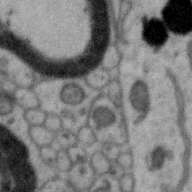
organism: Zebra finch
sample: Brain